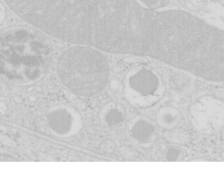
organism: Mouse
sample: Pancreas